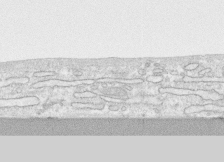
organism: Human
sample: CRL-1474